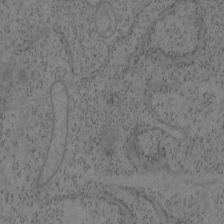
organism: Mouse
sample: OT-I killer T cells with ID8 ovarian cancer cells